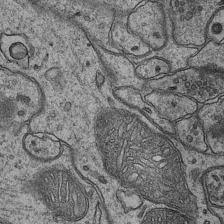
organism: Mouse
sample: CA1 Hippocampus